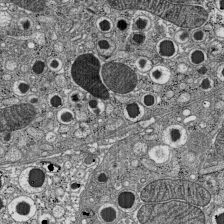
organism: C57BL Mouse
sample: Pancreatic islet